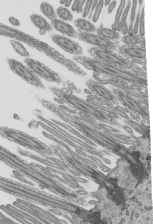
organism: Mouse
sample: Mouse epididymis efferent ductule cilia